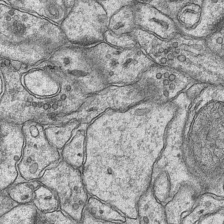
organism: Mouse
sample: CA1 Hippocampus